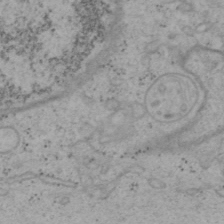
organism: Human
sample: HeLa cells